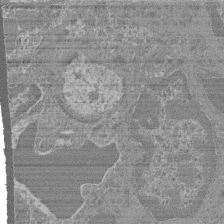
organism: Mouse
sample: Glomerulus